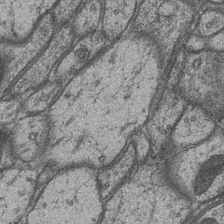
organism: Drosophila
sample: Optic medulla